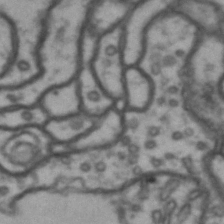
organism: Drosophila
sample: Brain